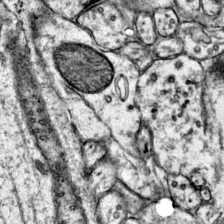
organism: Mouse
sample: Primary visual cortex